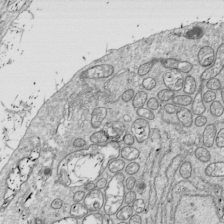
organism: Drosophila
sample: Cell division; meiosis; drosophila spermatocytes